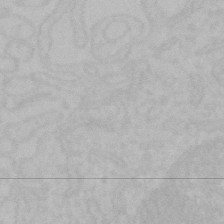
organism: Mouse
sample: Choroid plexus